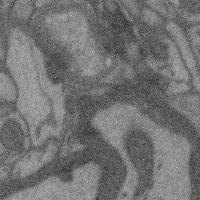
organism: Mouse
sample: Cerebral cortex